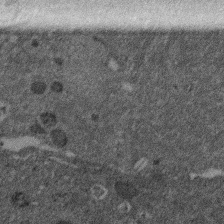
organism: Mouse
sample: Dividing mouse embryo 1 cell stage